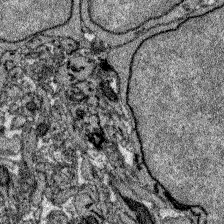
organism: Zebrafish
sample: Larval olfactory bulb